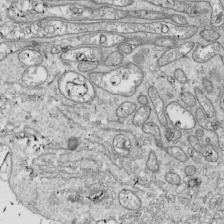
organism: Drosophila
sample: Cell division; meiosis; drosophila spermatocytes